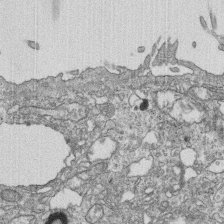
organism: Human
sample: HeLa cell HIV synapse